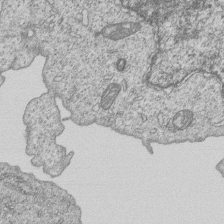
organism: Human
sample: MDA-MB-231 cells